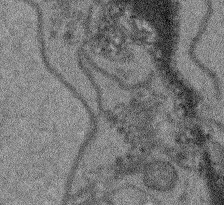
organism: Arabidopsis thaliana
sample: Root tip